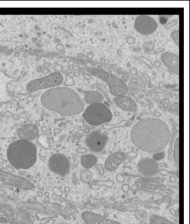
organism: Mouse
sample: Cilia; mouse epididymis